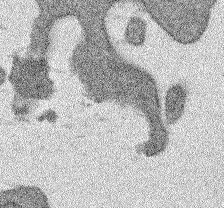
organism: Human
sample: HeLa cells